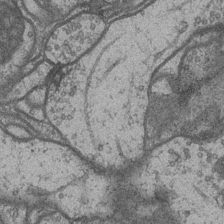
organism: Drosophila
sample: Optic medulla